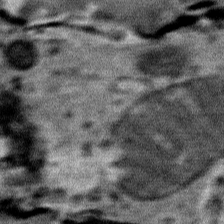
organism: Mouse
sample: Mouse Salivary gland